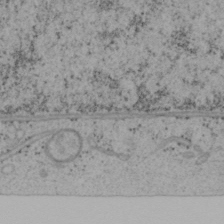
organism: Human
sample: HeLa cells